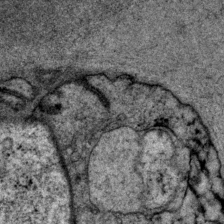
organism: P. pacificus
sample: Pharynx